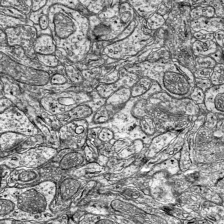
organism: Mouse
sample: Visual Cortex